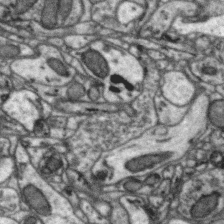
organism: Zebra finch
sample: Brain